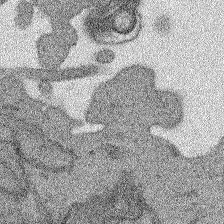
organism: Human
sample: HeLa cells